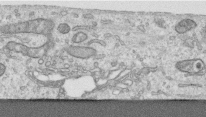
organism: Human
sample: Centriole in RPE cells